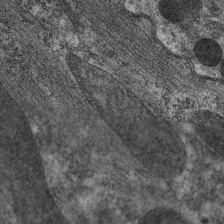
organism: C. elegans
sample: Pharynx